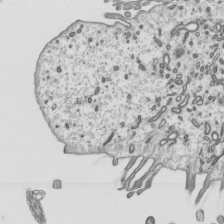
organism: Mouse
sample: Mouse epididymis efferent ductule cilia